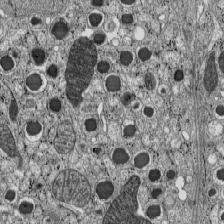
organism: C57BL Mouse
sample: Pancreatic islet